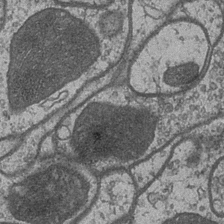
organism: Drosophila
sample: Optic medulla